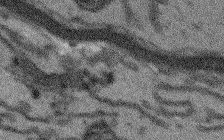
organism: Arabidopsis thaliana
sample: Root tip